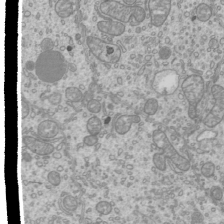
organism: Mouse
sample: Cilia; mouse epididymis